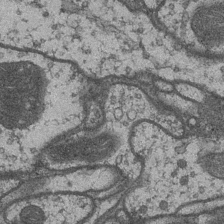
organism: Drosophila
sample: Optic medulla